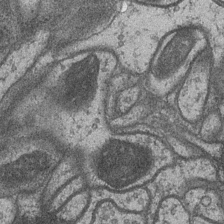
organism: Drosophila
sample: Optic medulla